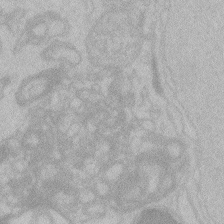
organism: Zebrafish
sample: Macrophage infected with Toxoplasma gondii